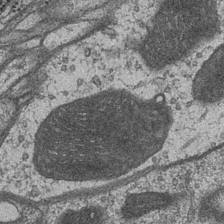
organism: Drosophila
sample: Optic medulla